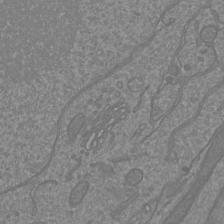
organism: Mouse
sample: Cortical neurons